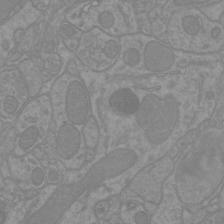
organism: Mouse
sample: Cortical neurons